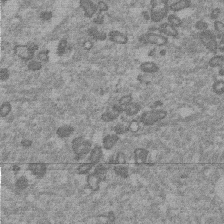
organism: Mouse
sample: Dividing mouse embryo 1 cell stage